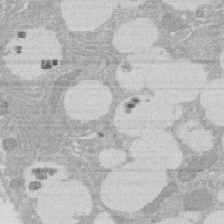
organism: Rat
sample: Salivary granule